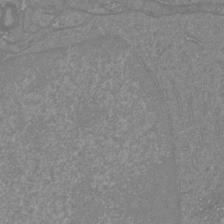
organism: Mouse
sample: Cortical neurons